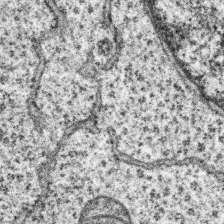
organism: Human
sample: HeLa cells